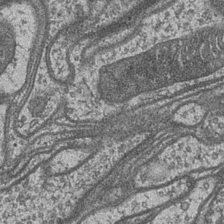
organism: Drosophila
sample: Optic medulla